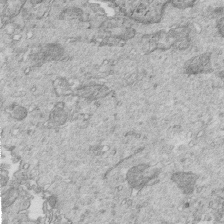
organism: Mouse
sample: Multiciliated cells